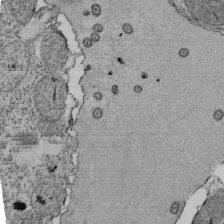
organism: Tetrahymena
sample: Cilia in tetrahymena